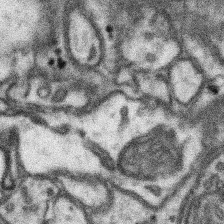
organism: Mouse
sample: Somatosensory cortex neuropil